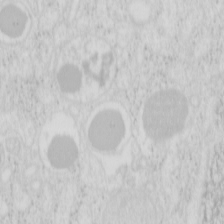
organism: Mouse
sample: Pancreas